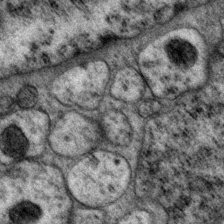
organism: P. pacificus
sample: Pharynx